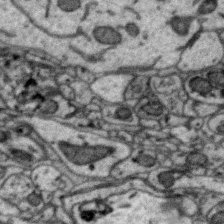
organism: Zebra finch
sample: Brain